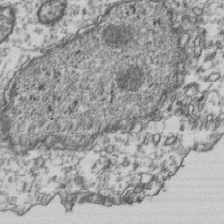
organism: Human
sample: Activated Jurkat CD4+ T cells